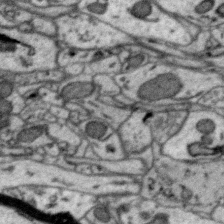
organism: Zebra finch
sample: Brain